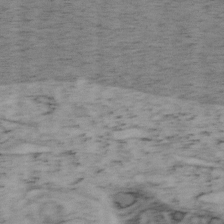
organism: Mouse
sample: OT-I killer T cells with ID8 ovarian cancer cells